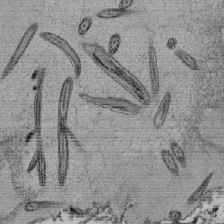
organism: Tetrahymena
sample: Cilia in tetrahymena